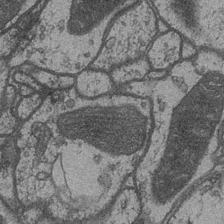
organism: Drosophila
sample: Optic medulla